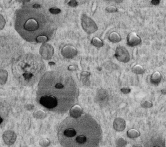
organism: C. elegans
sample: C. elegans embryo early stage